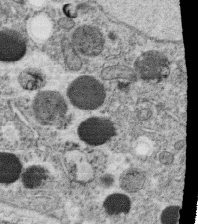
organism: C. elegans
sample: C. elegans oocyte; sperm cells